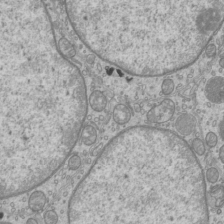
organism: Mouse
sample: Cilia; mouse epididymis